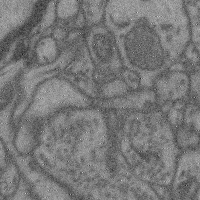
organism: Mouse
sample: Cerebral cortex